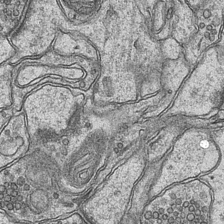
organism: Mouse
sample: CA1 Hippocampus